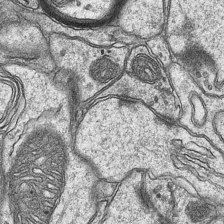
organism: Mouse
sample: CA1 Hippocampus